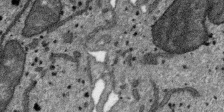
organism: Human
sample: Lung epithelial cells, uninfected (mock) control